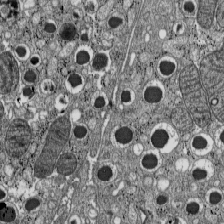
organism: C57BL Mouse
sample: Pancreatic islet